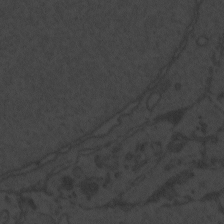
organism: Zebrafish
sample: Macrophage infected with Toxoplasma gondii